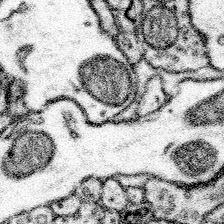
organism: Mouse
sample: Somatosensory cortex neuropil